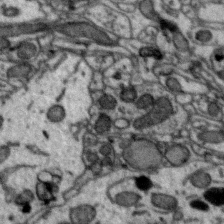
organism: Zebra finch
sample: Brain